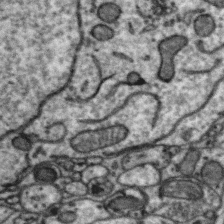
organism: Zebra finch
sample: Brain